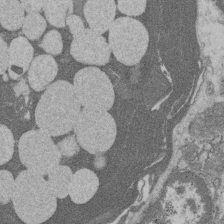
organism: Rat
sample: Salivary granule